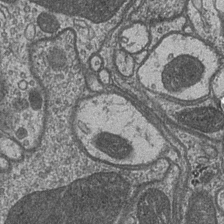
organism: Drosophila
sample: Optic medulla